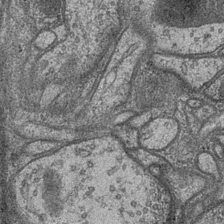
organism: Drosophila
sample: Optic medulla